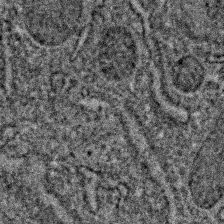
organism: C. elegans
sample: C. elegans embryo